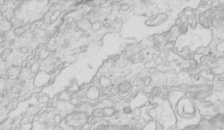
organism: Mouse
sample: Multiciliated cells